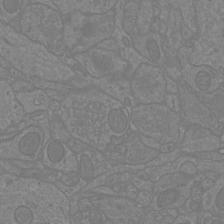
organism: Mouse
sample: Cortical neurons